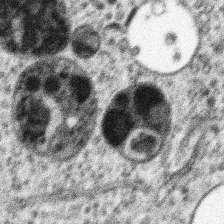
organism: Human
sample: HeLa cells